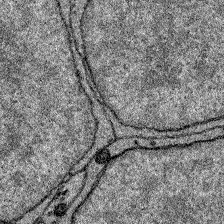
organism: Zebrafish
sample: Larval olfactory bulb